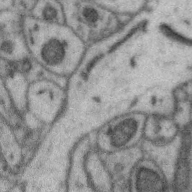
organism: Zebra finch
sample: Brain